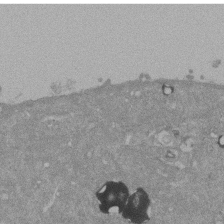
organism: Mouse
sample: ED-1 cell nuclei; centrioles